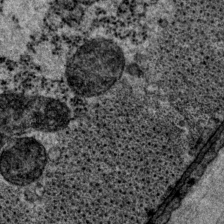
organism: P. pacificus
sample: Pharynx